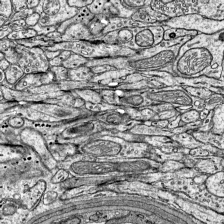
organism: Mouse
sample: Visual Cortex